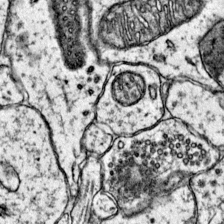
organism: Mouse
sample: Primary visual cortex